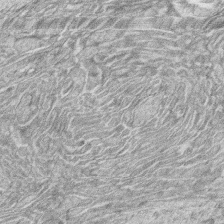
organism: Zebrafish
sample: synaptic ribbons in rod cells and cone cells